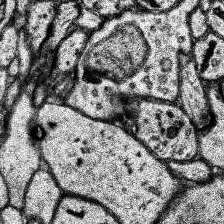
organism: Human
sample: Temporal Lobe